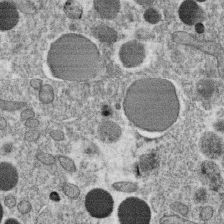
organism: C. elegans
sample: C. elegans oocyte; sperm cells